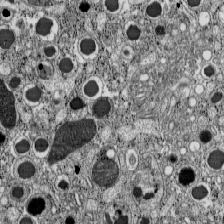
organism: C57BL Mouse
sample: Pancreatic islet